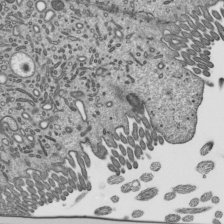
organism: Mouse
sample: Mouse epididymis efferent ductule cilia